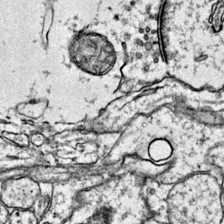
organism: Mouse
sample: Primary visual cortex